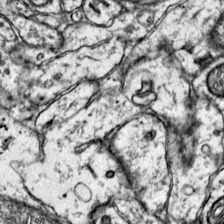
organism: Mouse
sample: Primary visual cortex